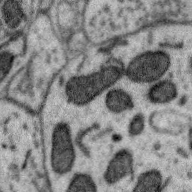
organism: Zebra finch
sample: Brain